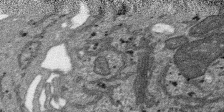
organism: Human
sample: Lung epithelial cells infected with SARS-CoV-2